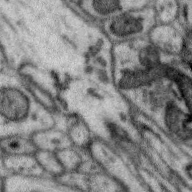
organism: Zebra finch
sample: Brain